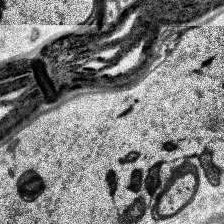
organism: Human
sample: Temporal Lobe